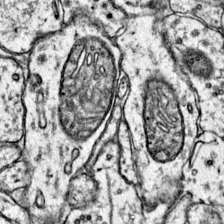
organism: Mouse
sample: Primary visual cortex